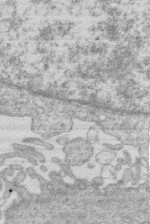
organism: Human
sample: Macrophage cells